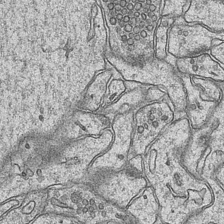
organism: Mouse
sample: CA1 Hippocampus